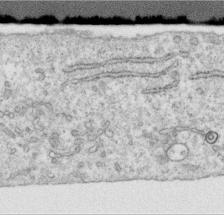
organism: Human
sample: Centriole in RPE cells